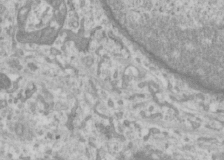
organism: Human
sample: Cilia; basal body in RPE cells